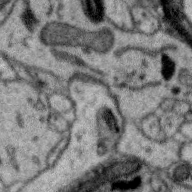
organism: Zebra finch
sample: Brain